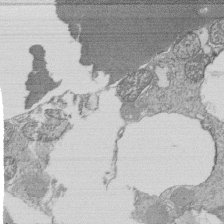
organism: Tetrahymena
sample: Cilia in tetrahymena